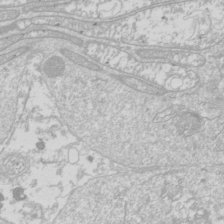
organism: Drosophila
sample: Cell division; meiosis; drosophila spermatocytes